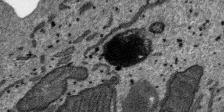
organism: Human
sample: Lung epithelial cells, uninfected (mock) control